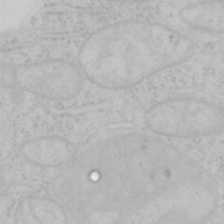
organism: Mouse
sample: OT-I killer T cells with ID8 ovarian cancer cells